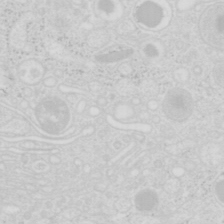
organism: Mouse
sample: Pancreas